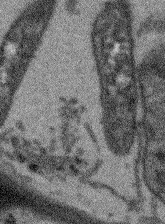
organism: Arabidopsis thaliana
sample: Root tip